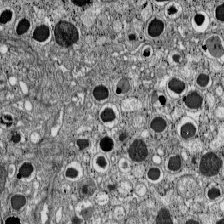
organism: C57BL Mouse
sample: Pancreatic islet